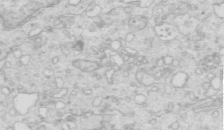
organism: Mouse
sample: Multiciliated cells